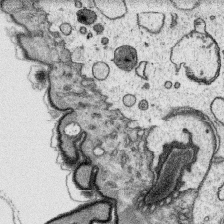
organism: Platynereis dumerilii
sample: Parapodia